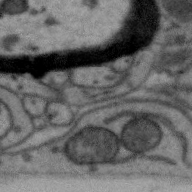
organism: Zebra finch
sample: Brain